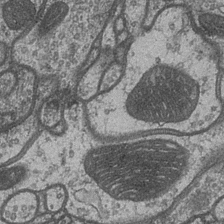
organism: Drosophila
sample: Optic medulla